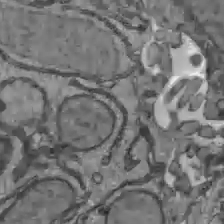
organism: C57BL Mouse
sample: Liver